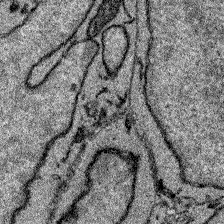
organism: Zebrafish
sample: Larval olfactory bulb